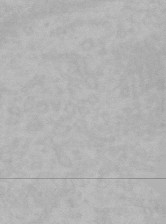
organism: Mouse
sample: Choroid plexus